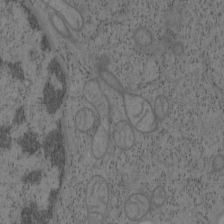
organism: Mouse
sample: OT-I killer T cells with ID8 ovarian cancer cells